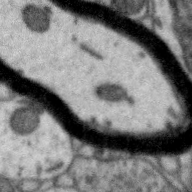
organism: Zebra finch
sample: Brain